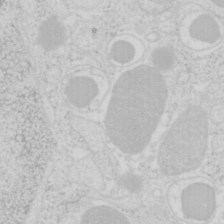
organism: Mouse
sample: Pancreas